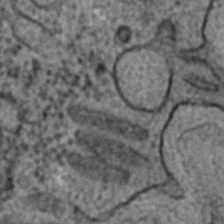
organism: C. elegans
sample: C. elegans embryo